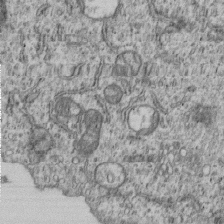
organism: Human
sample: MDA-MB-231 cells